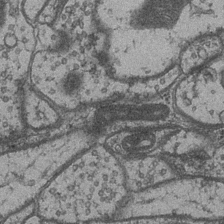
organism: Drosophila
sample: Optic medulla